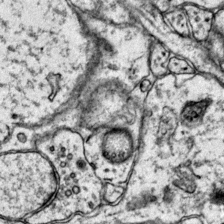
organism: Mouse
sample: Primary visual cortex